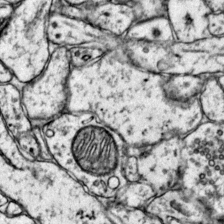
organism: Mouse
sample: Primary visual cortex